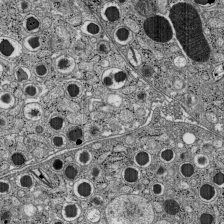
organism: C57BL Mouse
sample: Pancreatic islet